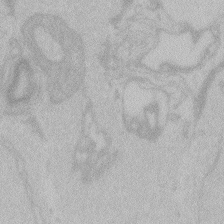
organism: Zebrafish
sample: Macrophage infected with Toxoplasma gondii